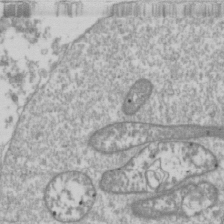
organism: Drosophila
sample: Cell division; meiosis; drosophila spermatocytes